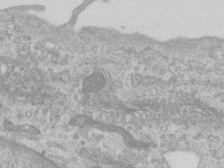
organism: Human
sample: Centriole in RPE cells